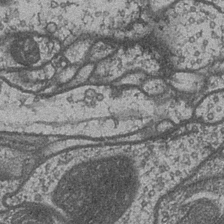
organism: Drosophila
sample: Optic medulla